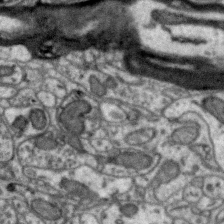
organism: Zebra finch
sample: Brain